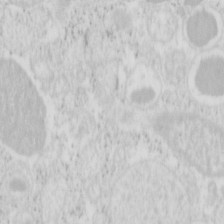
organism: Mouse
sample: Pancreas